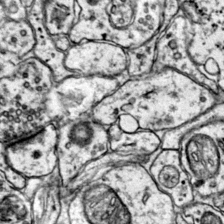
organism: Mouse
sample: Primary visual cortex